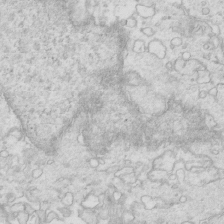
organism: Mouse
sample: Multiciliated cells